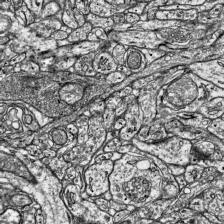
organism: Mouse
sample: Visual Cortex